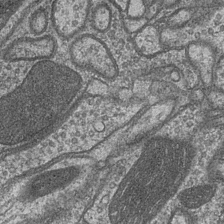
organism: Drosophila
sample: Optic medulla